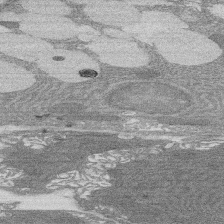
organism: Rat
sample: Salivary granule